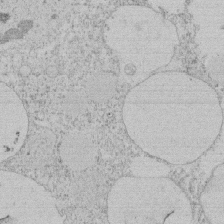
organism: Tetrahymena